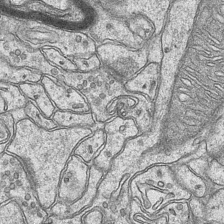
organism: Mouse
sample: CA1 Hippocampus